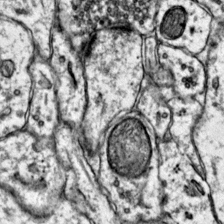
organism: Mouse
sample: Primary visual cortex